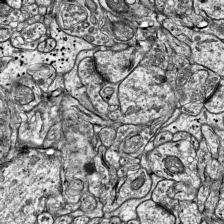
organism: Mouse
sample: Visual Cortex